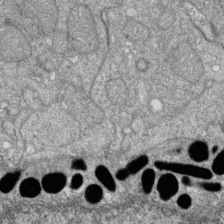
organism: Zebrafish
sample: Cilia; retinal pigment epithelium